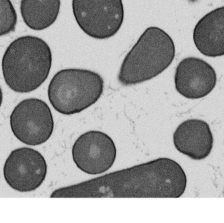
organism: B. subtilis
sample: Bacterial spore